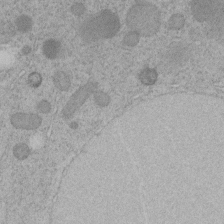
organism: C. elegans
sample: C. elegans embryo early stage